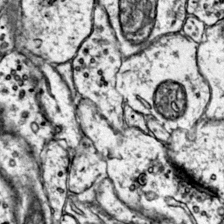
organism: Mouse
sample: Primary visual cortex